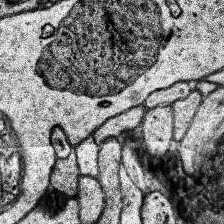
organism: Human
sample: Temporal Lobe